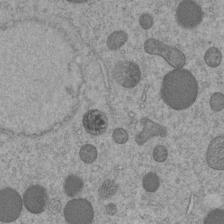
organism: C. elegans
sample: C. elegans embryo early stage